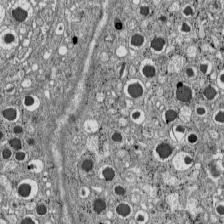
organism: C57BL Mouse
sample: Pancreatic islet